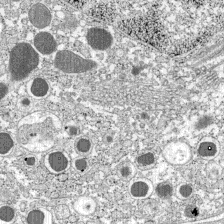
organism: C57BL Mouse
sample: Pancreatic islet